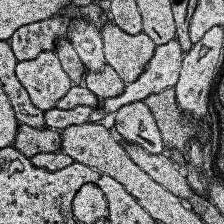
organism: Human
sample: Temporal Lobe